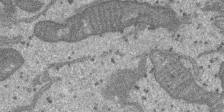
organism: Human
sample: Lung epithelial cells infected with SARS-CoV-2